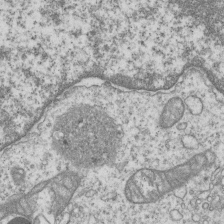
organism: Human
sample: MDA-MB-231 cells